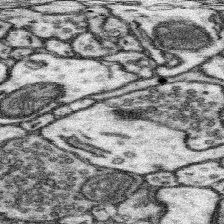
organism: Mouse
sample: Somatosensory cortex neuropil